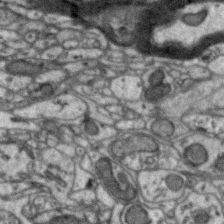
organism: Zebra finch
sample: Brain